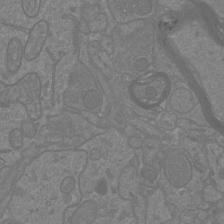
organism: Mouse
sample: Cortical neurons